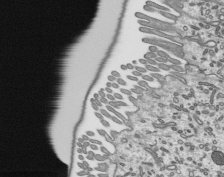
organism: Mouse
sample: Mouse epididymis efferent ductule cilia